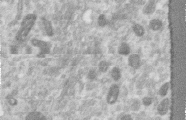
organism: Human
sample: Centriole in RPE cells